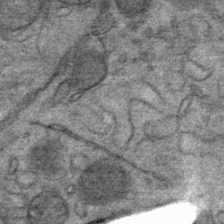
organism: Mouse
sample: Mouse Salivary gland